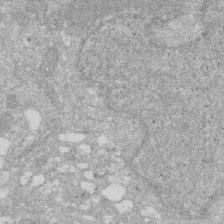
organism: Human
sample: HIV infected U937 cells